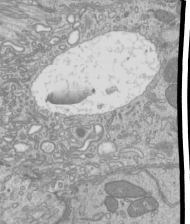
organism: Mouse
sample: Cilia; mouse epididymis